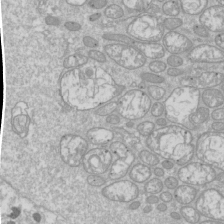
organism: Drosophila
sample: Cell division; meiosis; drosophila spermatocytes